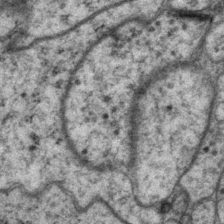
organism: P. pacificus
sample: Pharynx